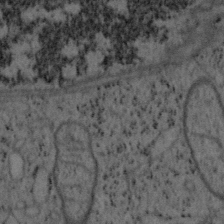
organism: Human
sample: HeLa cells